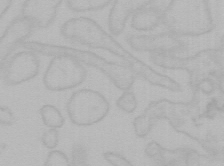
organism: Mouse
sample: Choroid plexus